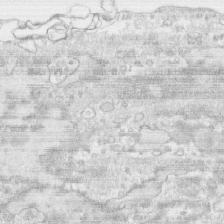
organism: Human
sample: CRL-1474